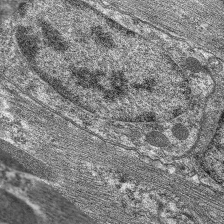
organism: C. elegans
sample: Pharynx